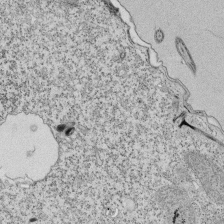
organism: Tetrahymena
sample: Cilia in tetrahymena